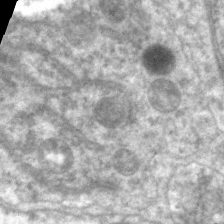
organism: C. elegans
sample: Pharynx